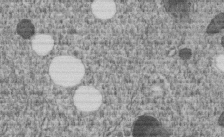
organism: C. elegans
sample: C. elegans embryo early stage